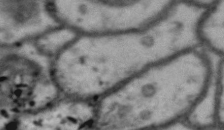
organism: Drosophila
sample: Brain